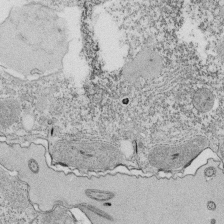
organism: Tetrahymena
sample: Cilia in tetrahymena